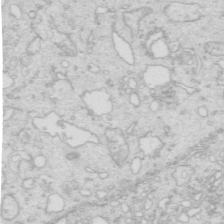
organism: Mouse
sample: Multiciliated cells